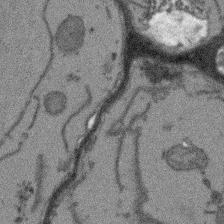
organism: Arabidopsis thaliana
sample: Root tip